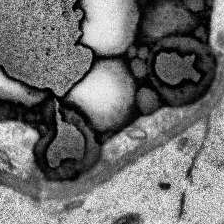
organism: Human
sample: Temporal Lobe